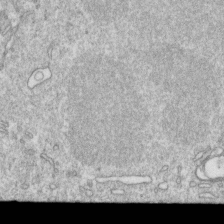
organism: Mouse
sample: Activated OT-1 CD8+ T cells